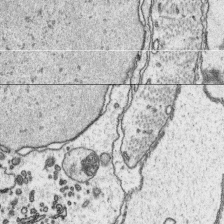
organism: Platynereis dumerilii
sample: Parapodia